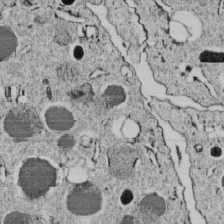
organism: C. elegans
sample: C. elegans embryo early stage